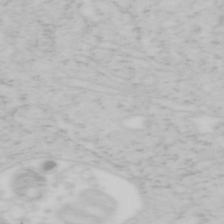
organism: Mouse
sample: OT-I killer T cells with ID8 ovarian cancer cells